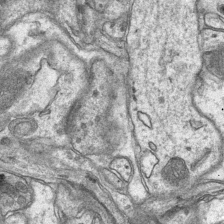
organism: Mouse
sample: CA1 Hippocampus